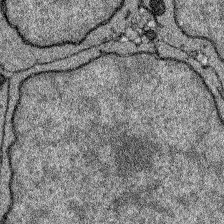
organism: Zebrafish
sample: Larval olfactory bulb